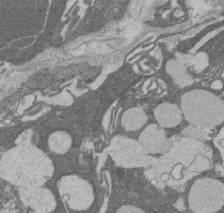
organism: Rat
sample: Salivary granule